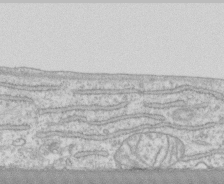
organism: Human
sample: CRL-1474